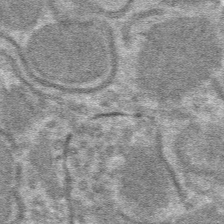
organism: Mouse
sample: Mouse hepatocytes